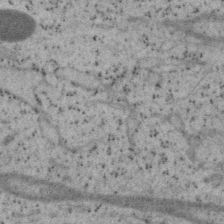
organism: Human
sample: HeLa cells